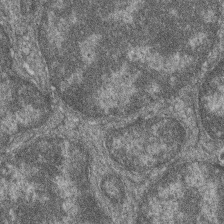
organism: Zebrafish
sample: Cilia; retinal pigment epithelium